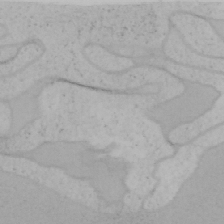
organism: Mouse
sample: OT-I killer T cells with ID8 ovarian cancer cells